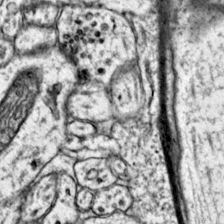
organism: Mouse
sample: Primary visual cortex